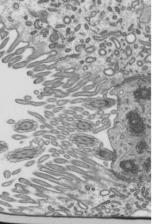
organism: Mouse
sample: Mouse epididymis efferent ductule cilia